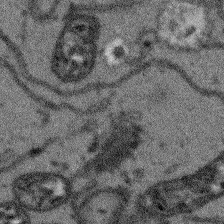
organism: Arabidopsis thaliana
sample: Root tip